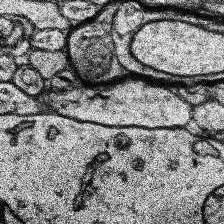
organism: Human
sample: Temporal Lobe